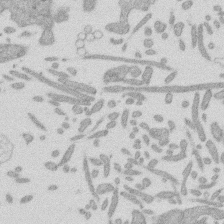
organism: Mouse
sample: Dividing mouse embryo 1 cell stage